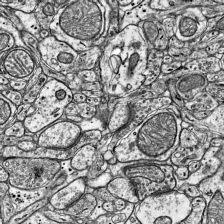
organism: Mouse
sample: Visual Cortex